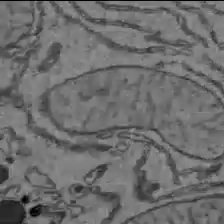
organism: C57BL Mouse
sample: Liver